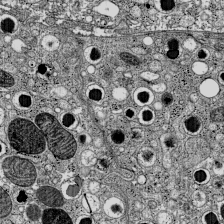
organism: C57BL Mouse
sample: Pancreatic islet